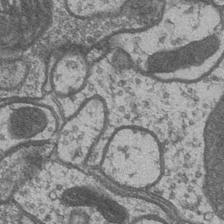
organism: Drosophila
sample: Optic medulla